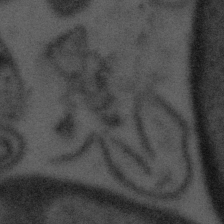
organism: Tuwongella immobilis